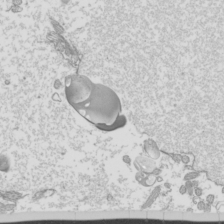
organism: Mouse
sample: Cilia; mouse epididymis